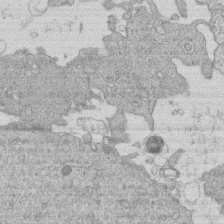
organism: Human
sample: Macrophage cells